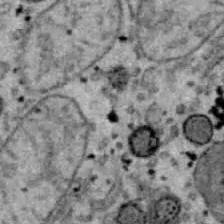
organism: Mouse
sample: Liver from an obese (ob/ob) mouse